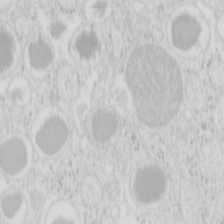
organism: Mouse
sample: Pancreas